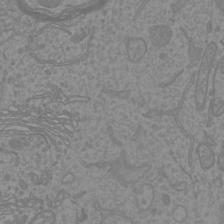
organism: Mouse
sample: Cortical neurons